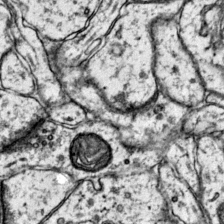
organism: Mouse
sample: Primary visual cortex